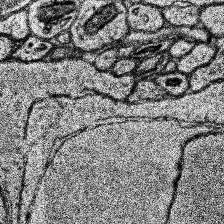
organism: Human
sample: Temporal Lobe